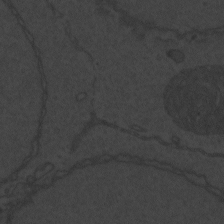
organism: Zebrafish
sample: Macrophage infected with Toxoplasma gondii